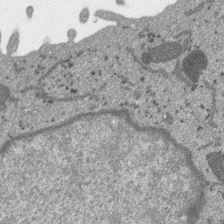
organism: Human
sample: Lung epithelial cells infected with SARS-CoV-2